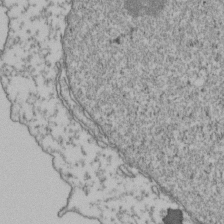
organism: Human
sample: Activated Jurkat CD4+ T cells